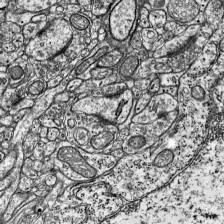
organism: Mouse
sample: Visual Cortex